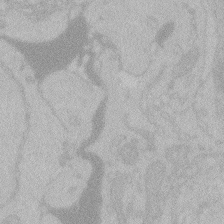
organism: Zebrafish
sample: Macrophage infected with Toxoplasma gondii